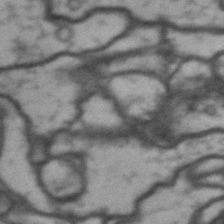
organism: Drosophila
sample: Brain